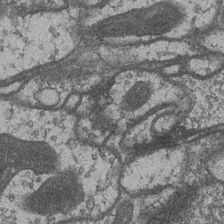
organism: Drosophila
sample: Optic medulla